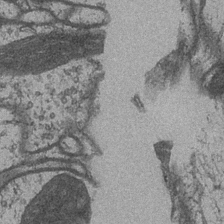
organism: Drosophila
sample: Optic medulla